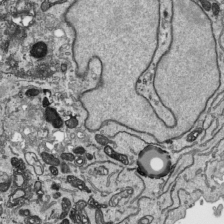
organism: Human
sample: Mitochondria in HCT116 cells